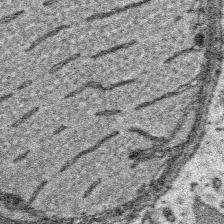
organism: Platynereis dumerilii